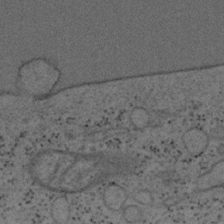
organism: Human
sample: HeLa cells